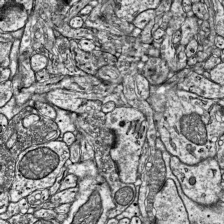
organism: Mouse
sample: Visual Cortex